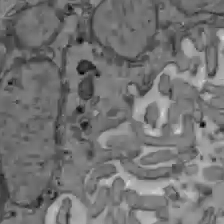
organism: C57BL Mouse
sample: Liver